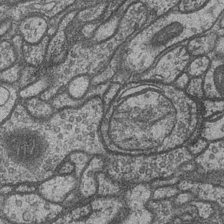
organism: Drosophila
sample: Optic medulla